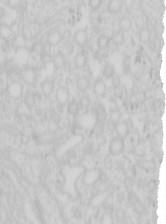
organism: Mouse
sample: Pancreas